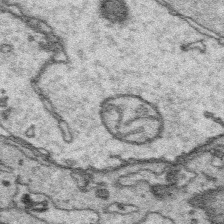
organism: Platynereis dumerilii